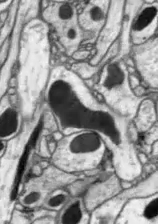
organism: Drosophila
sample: Optic lobe